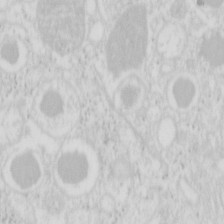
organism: Mouse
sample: Pancreas